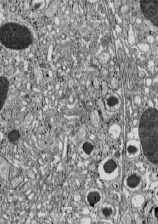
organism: C57BL Mouse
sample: Pancreatic islet